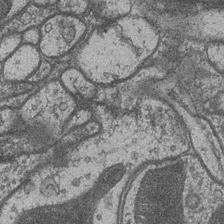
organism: Drosophila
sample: Optic medulla